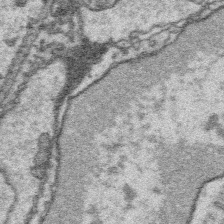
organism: Platynereis dumerilii